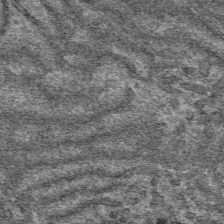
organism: Mouse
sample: Mouse hepatocytes